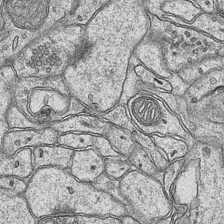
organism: Mouse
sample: CA1 Hippocampus